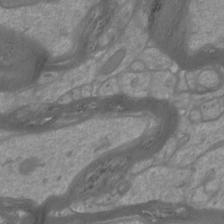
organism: Mouse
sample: Cortical neurons